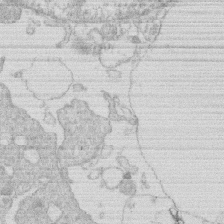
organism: Human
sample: Macrophage cells